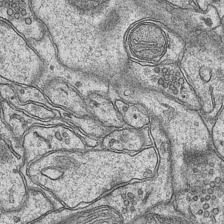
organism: Mouse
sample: CA1 Hippocampus